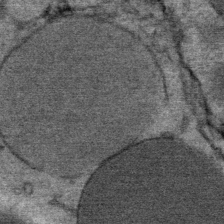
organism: Mouse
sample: Mouse Salivary gland